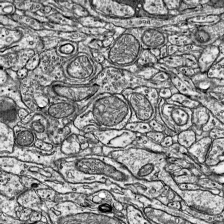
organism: Mouse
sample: Visual Cortex